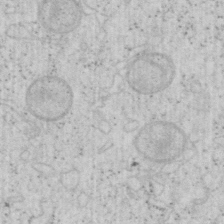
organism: Human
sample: HeLa cells